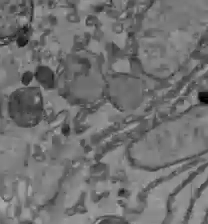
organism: C57BL Mouse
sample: Liver